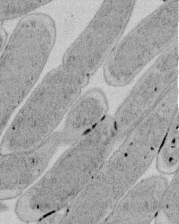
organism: E. coli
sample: Bacterial nucleoid